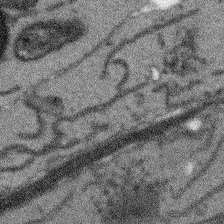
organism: Arabidopsis thaliana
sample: Root tip